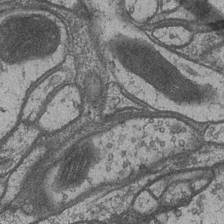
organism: Drosophila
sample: Optic medulla